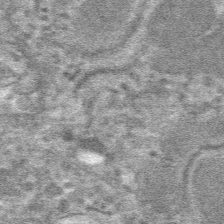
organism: Mouse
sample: Mouse hepatocytes